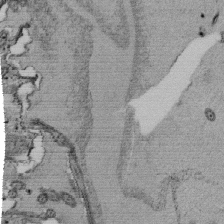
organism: Tetrahymena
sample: Cilia in tetrahymena